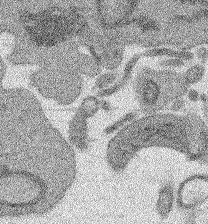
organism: Human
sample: HeLa cells